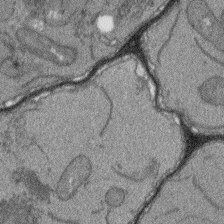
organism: Arabidopsis thaliana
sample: Root tip